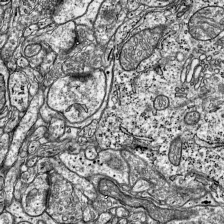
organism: Mouse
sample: Visual Cortex